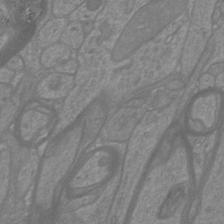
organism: Mouse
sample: Cortical neurons